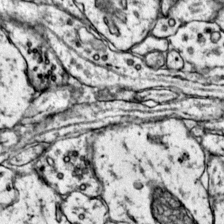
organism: Mouse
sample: Primary visual cortex